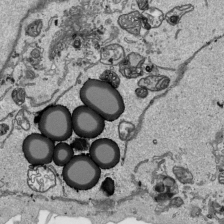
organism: Human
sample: Mitochondria in HCT116 cells